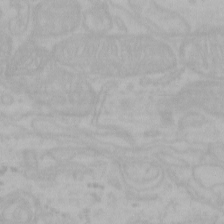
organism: Mouse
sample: Choroid plexus